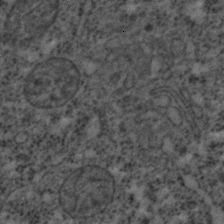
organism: C. elegans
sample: C. elegans embryo